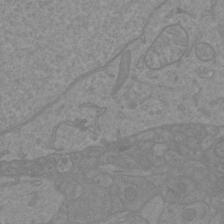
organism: Mouse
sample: Cortical neurons